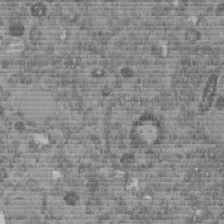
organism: C. elegans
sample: C. elegans embryo early stage